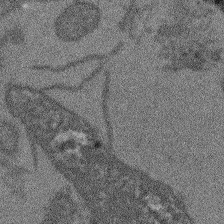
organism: Arabidopsis thaliana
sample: Root tip